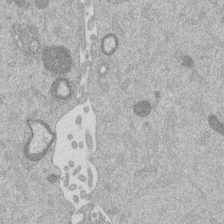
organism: Mouse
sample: Dividing mouse embryo 1 cell stage